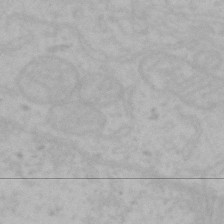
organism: Mouse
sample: Choroid plexus